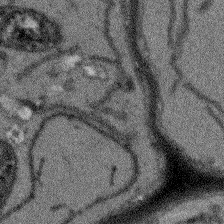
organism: Arabidopsis thaliana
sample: Root tip